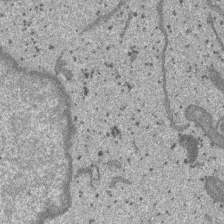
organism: Human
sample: Lung epithelial cells infected with SARS-CoV-2